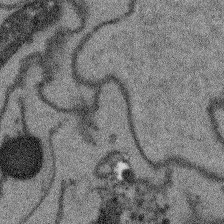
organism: Arabidopsis thaliana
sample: Root tip